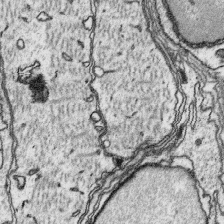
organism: Platynereis dumerilii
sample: Parapodia